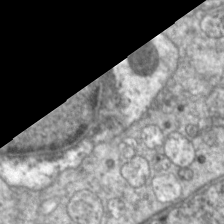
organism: C. elegans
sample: Pharynx